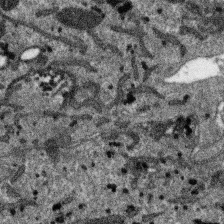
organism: Human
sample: Lung epithelial cells infected with SARS-CoV-2